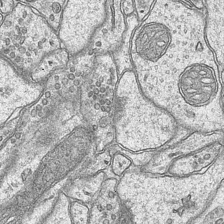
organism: Mouse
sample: CA1 Hippocampus